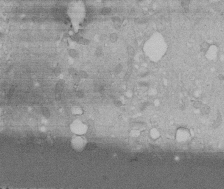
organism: Human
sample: Melanocyte Keratinocyte synapse skin construct